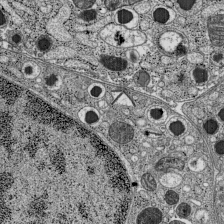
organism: C57BL Mouse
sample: Pancreatic islet